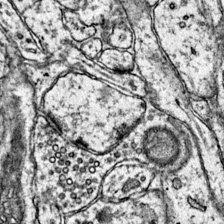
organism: Mouse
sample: Primary visual cortex